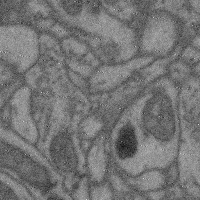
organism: Mouse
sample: Cerebral cortex